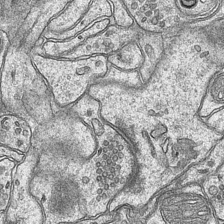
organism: Mouse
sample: CA1 Hippocampus